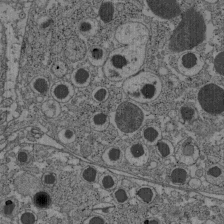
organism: C57BL Mouse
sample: Pancreatic islet